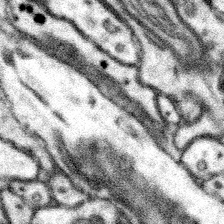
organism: Mouse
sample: Somatosensory cortex neuropil